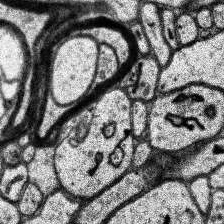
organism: Human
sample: Temporal Lobe